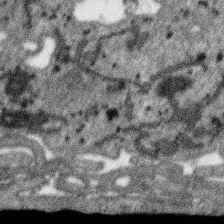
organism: Human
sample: Lung epithelial cells infected with SARS-CoV-2